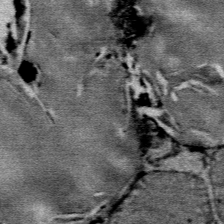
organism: Mouse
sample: Mouse Salivary gland